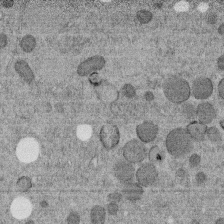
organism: C. elegans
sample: C. elegans embryo early stage